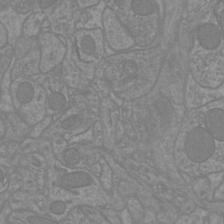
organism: Mouse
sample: Cortical neurons